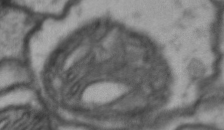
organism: Drosophila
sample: Brain